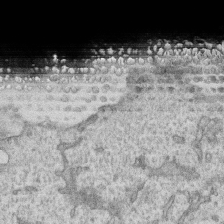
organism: Human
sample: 1205lu cells